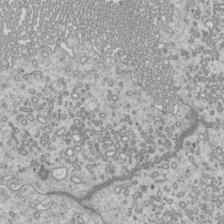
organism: Mouse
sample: Cilia; mouse epididymis